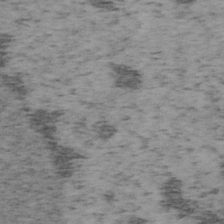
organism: Mouse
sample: OT-I killer T cells with ID8 ovarian cancer cells